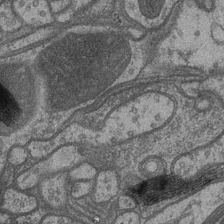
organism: Drosophila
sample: Optic medulla